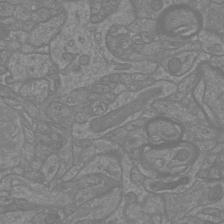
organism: Mouse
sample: Cortical neurons